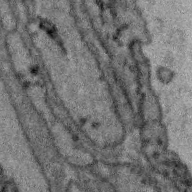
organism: Zebra finch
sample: Brain